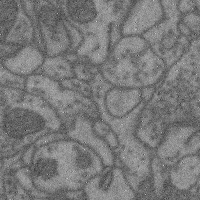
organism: Mouse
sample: Cerebral cortex